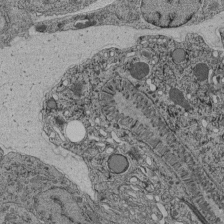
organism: C. elegans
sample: C. elegans pharynx